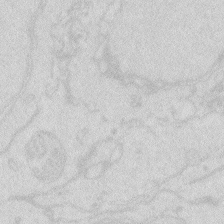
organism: Zebrafish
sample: Macrophage